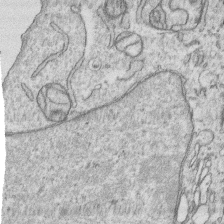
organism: Human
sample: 1205lu cells